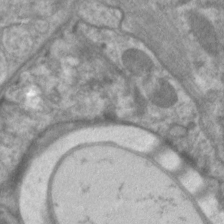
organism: C. elegans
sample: Pharynx